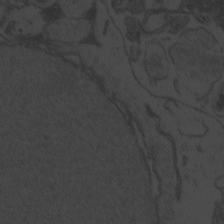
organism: Zebrafish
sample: Macrophage infected with Toxoplasma gondii